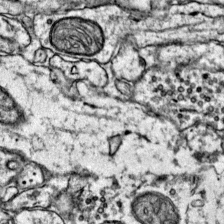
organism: Mouse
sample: Primary visual cortex